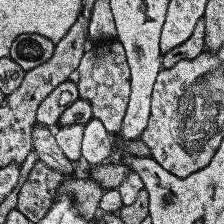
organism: Human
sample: Temporal Lobe